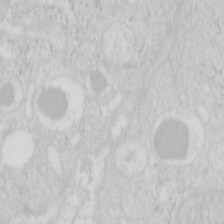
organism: Mouse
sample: Pancreas